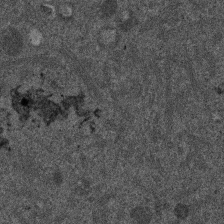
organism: Mouse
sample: Dividing mouse embryo 1 cell stage